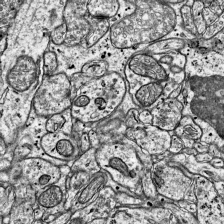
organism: Mouse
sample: Visual Cortex